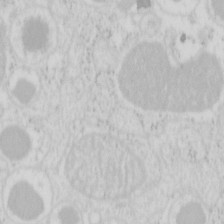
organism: Mouse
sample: Pancreas